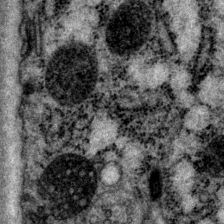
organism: P. pacificus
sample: Pharynx